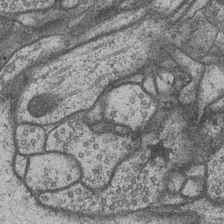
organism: Drosophila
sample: Optic medulla